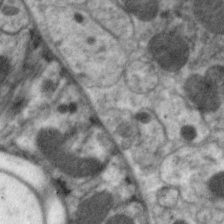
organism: C. elegans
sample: Pharynx